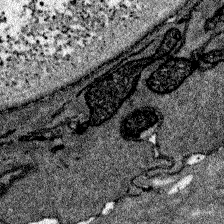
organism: Zebrafish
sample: Larval olfactory bulb